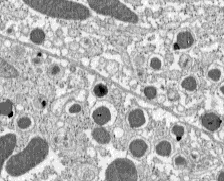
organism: C57BL Mouse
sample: Pancreatic islet